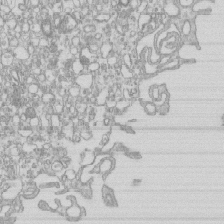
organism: Mouse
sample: Macrophages